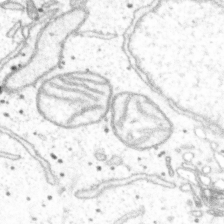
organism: Human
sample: HeLa cells